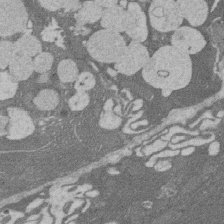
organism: Rat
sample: Salivary granule